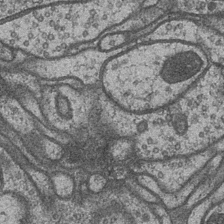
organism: Drosophila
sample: Optic medulla